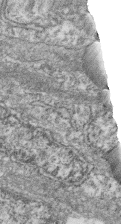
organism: Zebrafish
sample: Cilia; retinal pigment epithelium